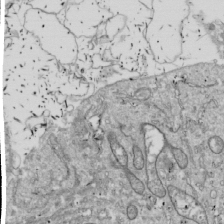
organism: Drosophila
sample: Cell division; meiosis; drosophila spermatocytes